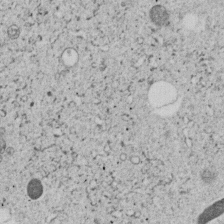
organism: C. elegans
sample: C. elegans embryo early stage